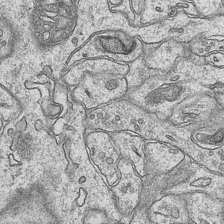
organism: Mouse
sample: CA1 Hippocampus